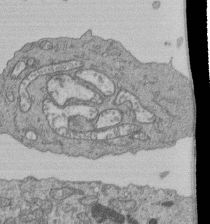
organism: Human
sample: Retinal organoid Rod and Cone cells